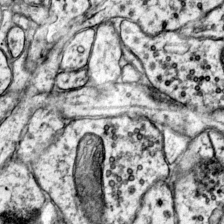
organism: Mouse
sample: Primary visual cortex